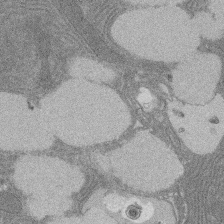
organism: Rat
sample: Salivary granule